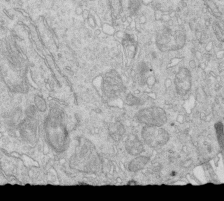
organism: Mouse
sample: Multiciliated cells